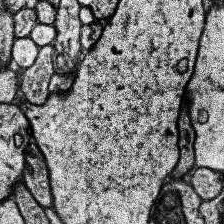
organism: Human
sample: Temporal Lobe